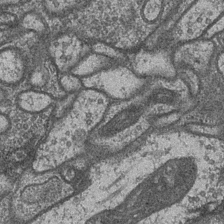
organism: Drosophila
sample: Optic medulla